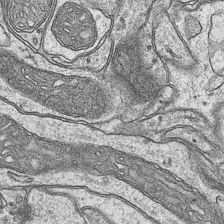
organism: Mouse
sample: CA1 Hippocampus